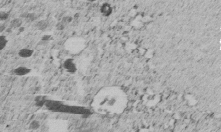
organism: C. elegans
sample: C. elegans embryo early stage